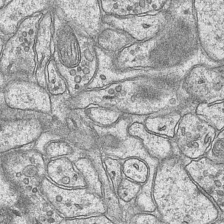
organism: Mouse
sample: CA1 Hippocampus